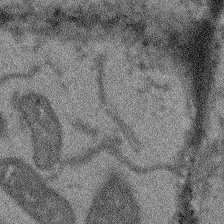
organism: Arabidopsis thaliana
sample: Root tip